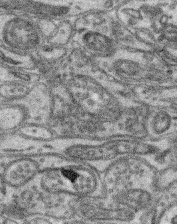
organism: Mouse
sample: Retina